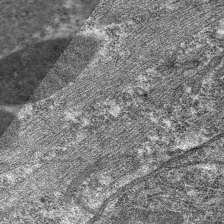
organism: C. elegans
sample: Pharynx